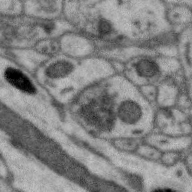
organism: Zebra finch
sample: Brain